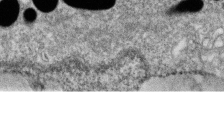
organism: Zebrafish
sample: Cilia; retinal pigment epithelium